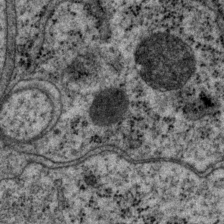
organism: P. pacificus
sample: Pharynx